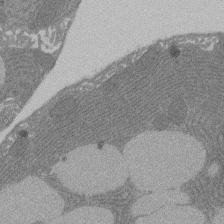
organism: Rat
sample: Salivary granule